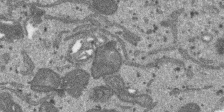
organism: Human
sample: Lung epithelial cells infected with SARS-CoV-2